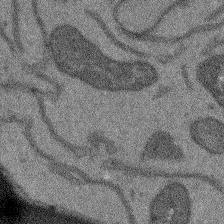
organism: Arabidopsis thaliana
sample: Root tip